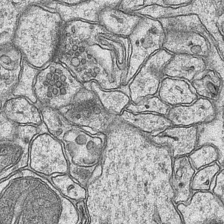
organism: Mouse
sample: CA1 Hippocampus